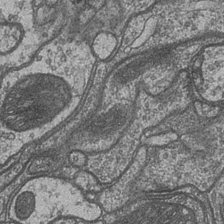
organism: Drosophila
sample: Optic medulla